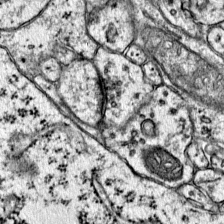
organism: Mouse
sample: Primary visual cortex